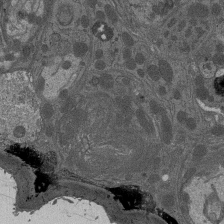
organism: Drosophila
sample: Antenna